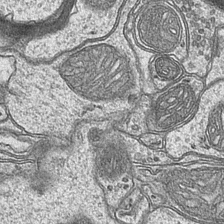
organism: Mouse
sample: CA1 Hippocampus